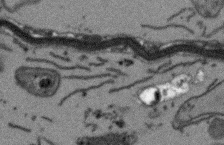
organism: Arabidopsis thaliana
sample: Root tip